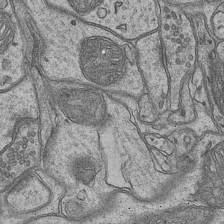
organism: Mouse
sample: CA1 Hippocampus